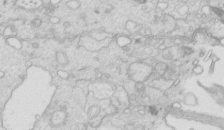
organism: Mouse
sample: Multiciliated cells